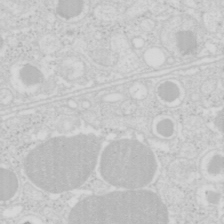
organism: Mouse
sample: Pancreas